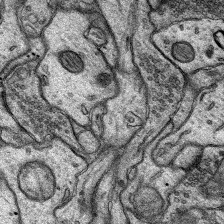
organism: Rat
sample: Hippocampus